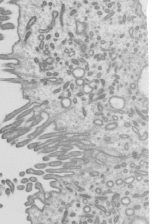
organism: Mouse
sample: Mouse epididymis efferent ductule cilia